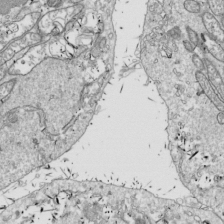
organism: Drosophila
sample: Cell division; meiosis; drosophila spermatocytes